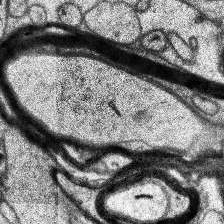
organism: Human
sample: Temporal Lobe